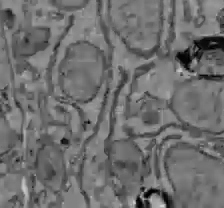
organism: C57BL Mouse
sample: Liver